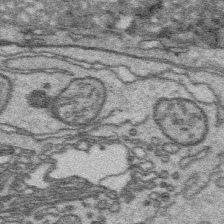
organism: Platynereis dumerilii